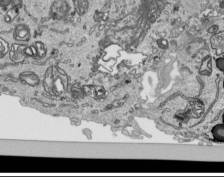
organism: Human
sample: Mitochondria in HCT116 cells